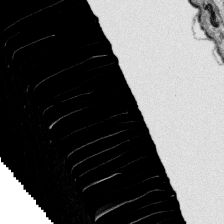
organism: Platynereis dumerilii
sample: Parapodia